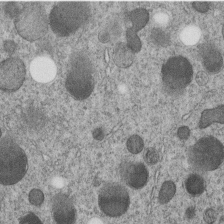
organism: C. elegans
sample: C. elegans embryo early stage